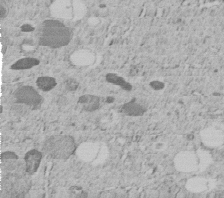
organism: C. elegans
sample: C. elegans embryo early stage